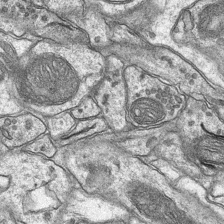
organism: Mouse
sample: CA1 Hippocampus